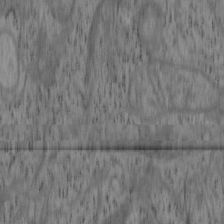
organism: Human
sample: HeLa cells